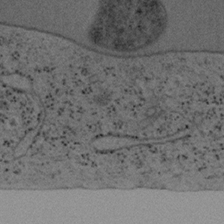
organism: Human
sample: HeLa cells